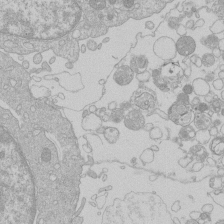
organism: Human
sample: Macrophage cells